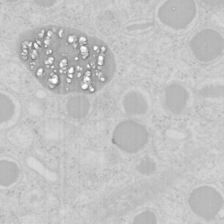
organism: Mouse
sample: Pancreas